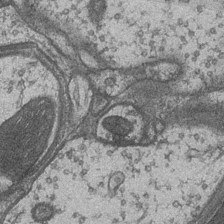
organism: Drosophila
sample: Optic medulla